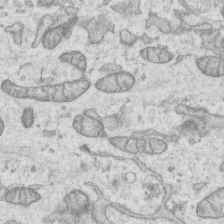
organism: Human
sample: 1205lu cells